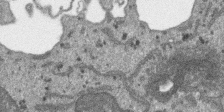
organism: Human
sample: Lung epithelial cells infected with SARS-CoV-2